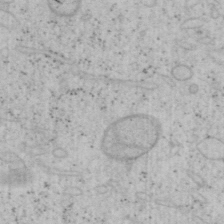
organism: Human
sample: HeLa cells